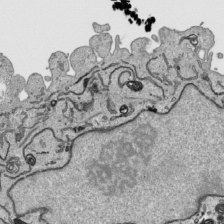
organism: Human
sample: Mitochondria in HCT116 cells